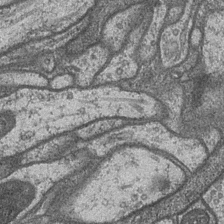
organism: Drosophila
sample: Optic medulla